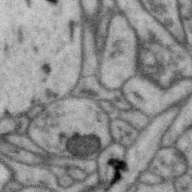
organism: Zebra finch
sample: Brain